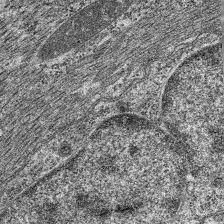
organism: C. elegans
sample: Pharynx